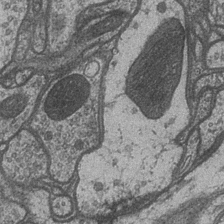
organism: Drosophila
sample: Optic medulla